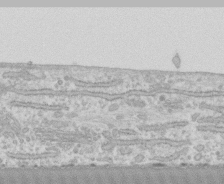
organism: Human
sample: CRL-1474